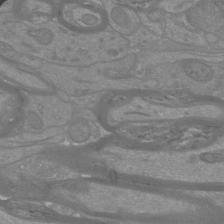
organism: Mouse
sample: Cortical neurons